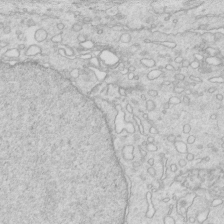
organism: Mouse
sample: Multiciliated cells